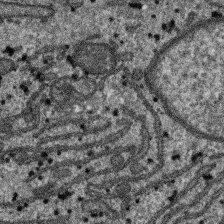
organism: Human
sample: Lung epithelial cells infected with SARS-CoV-2